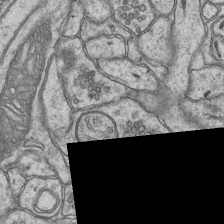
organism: Mouse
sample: CA1 Hippocampus